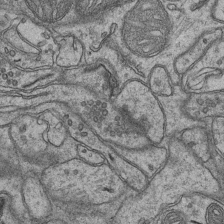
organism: Mouse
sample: CA1 Hippocampus